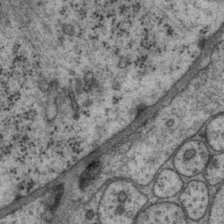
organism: P. pacificus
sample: Pharynx